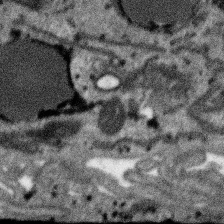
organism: Human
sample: Lung epithelial cells infected with SARS-CoV-2